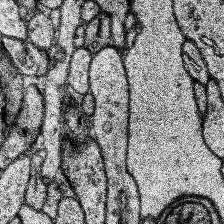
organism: Human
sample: Temporal Lobe